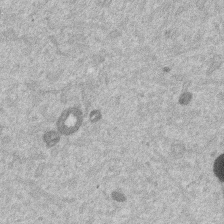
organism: Mouse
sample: Dividing mouse embryo 1 cell stage